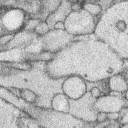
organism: Rabbit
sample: Retina